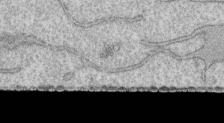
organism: Human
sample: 1205lu cells